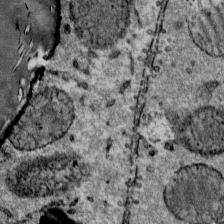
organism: Mouse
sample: Mouse Salivary gland